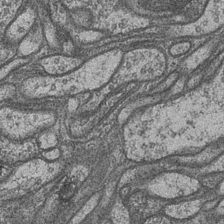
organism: Drosophila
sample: Optic medulla